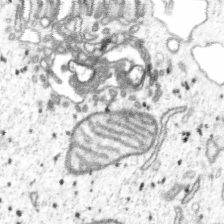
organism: Human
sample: HeLa cells